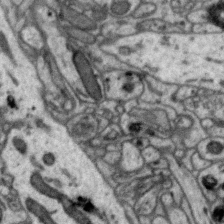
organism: Zebra finch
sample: Brain